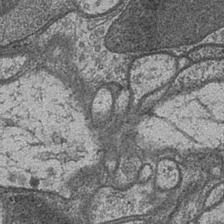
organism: Drosophila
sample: Optic medulla